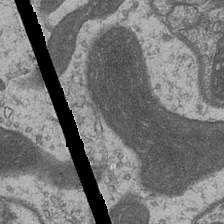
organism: Drosophila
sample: Optic medulla